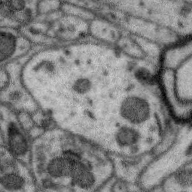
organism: Zebra finch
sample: Brain